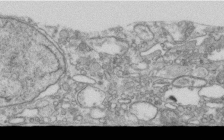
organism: Human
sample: Centriole in RPE cells